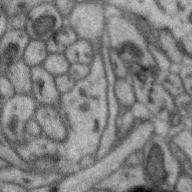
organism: Zebra finch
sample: Brain